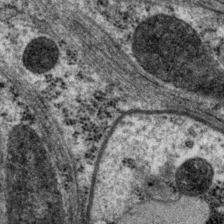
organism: P. pacificus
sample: Pharynx